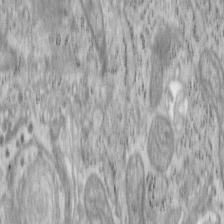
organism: Human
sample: HeLa cells